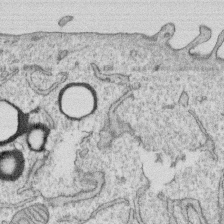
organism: Human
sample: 1205lu cells